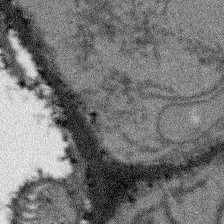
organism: Arabidopsis thaliana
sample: Root tip